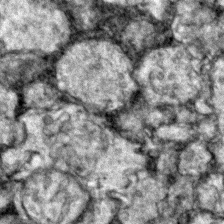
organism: Zebrafish